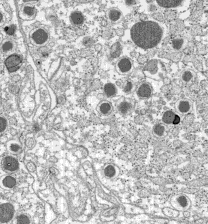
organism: C57BL Mouse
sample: Pancreatic islet